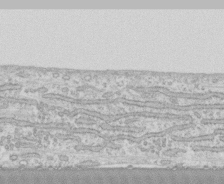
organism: Human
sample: CRL-1474